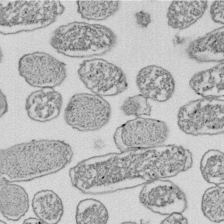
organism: E. coli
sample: Bacterial nucleoid